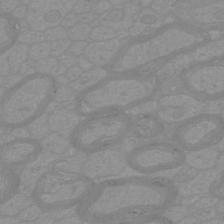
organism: Mouse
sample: Cortical neurons